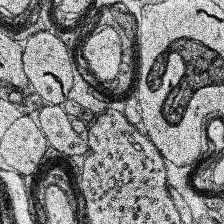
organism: Human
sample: Temporal Lobe